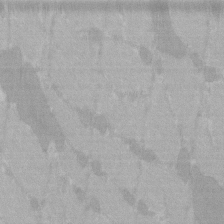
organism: C57BL Mouse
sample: Tibialis anterior muscle cell